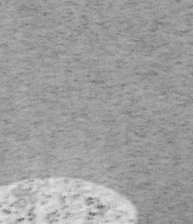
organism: Mouse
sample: OT-I killer T cells with ID8 ovarian cancer cells